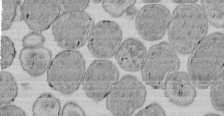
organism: E. coli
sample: Bacterial nucleoid